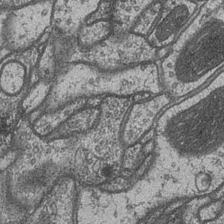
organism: Drosophila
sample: Optic medulla